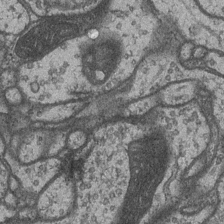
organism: Drosophila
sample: Optic medulla